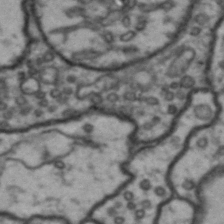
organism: Drosophila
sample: Brain